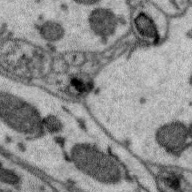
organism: Zebra finch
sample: Brain